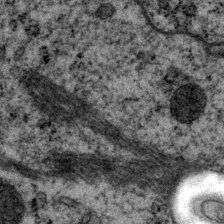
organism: P. pacificus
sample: Pharynx